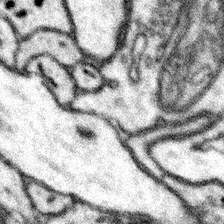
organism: Mouse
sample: Somatosensory cortex neuropil